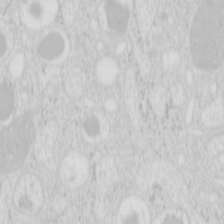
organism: Mouse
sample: Pancreas